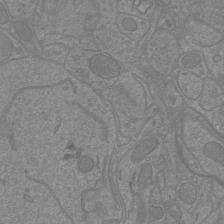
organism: Mouse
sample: Cortical neurons